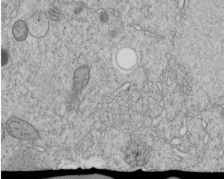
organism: C. elegans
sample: C. elegans embryo early stage